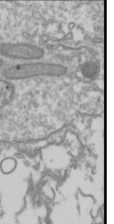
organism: Drosophila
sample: Cell division; meiosis; drosophila spermatocytes